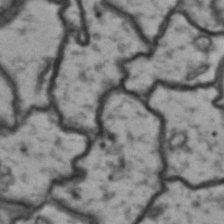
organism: Drosophila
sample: Brain